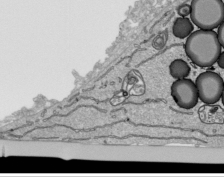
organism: Human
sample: Mitochondria in HCT116 cells